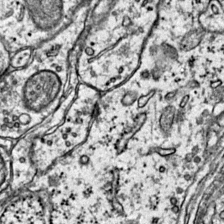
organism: Mouse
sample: Primary visual cortex